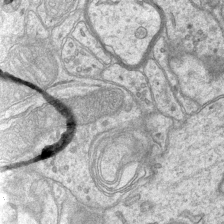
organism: Mouse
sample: CA1 Hippocampus